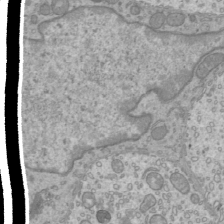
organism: Mouse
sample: Cilia; mouse epididymis